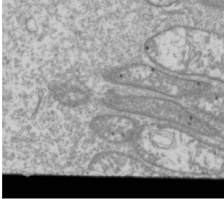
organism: Drosophila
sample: Cell division; meiosis; drosophila spermatocytes